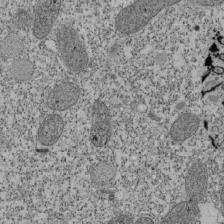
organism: Tetrahymena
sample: Cilia in tetrahymena